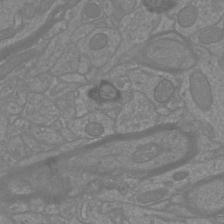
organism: Mouse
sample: Cortical neurons